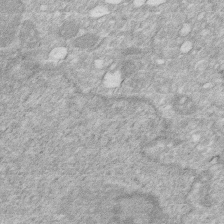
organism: Human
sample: HIV infected U937 cells